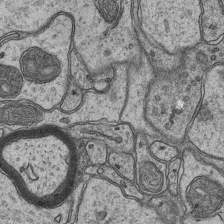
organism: Mouse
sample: CA1 Hippocampus